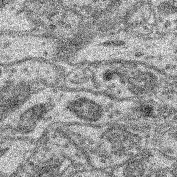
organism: Mouse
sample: Retina